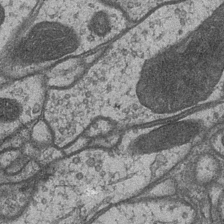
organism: Drosophila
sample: Optic medulla